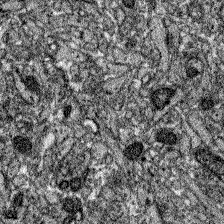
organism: Zebrafish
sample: Larval olfactory bulb